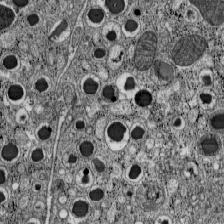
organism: C57BL Mouse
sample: Pancreatic islet